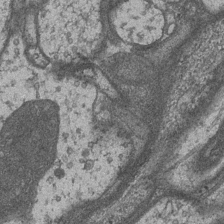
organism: Drosophila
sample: Optic medulla